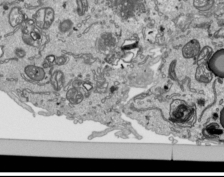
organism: Human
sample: Mitochondria in HCT116 cells